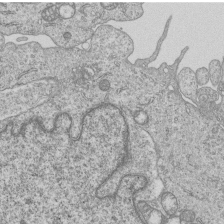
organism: Human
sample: MDA-MB-231 cells